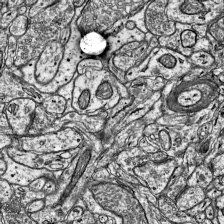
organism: Mouse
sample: Visual Cortex